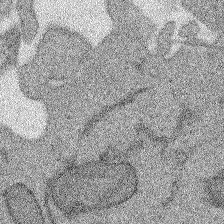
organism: Human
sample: HeLa cells